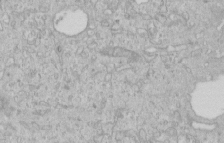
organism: Human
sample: Centriole in RPE cells